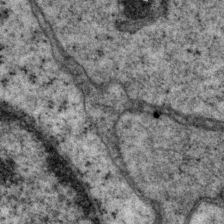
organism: P. pacificus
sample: Pharynx